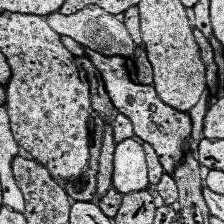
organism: Human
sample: Temporal Lobe